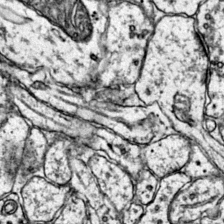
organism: Mouse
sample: Primary visual cortex